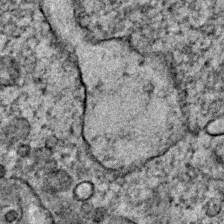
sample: Trachea